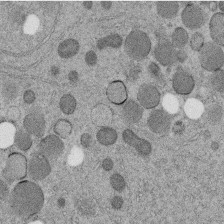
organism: C. elegans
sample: C. elegans embryo early stage